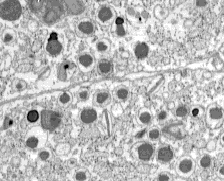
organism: C57BL Mouse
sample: Pancreatic islet